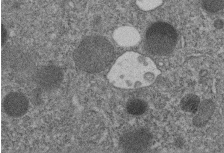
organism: C. elegans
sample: C. elegans embryo early stage